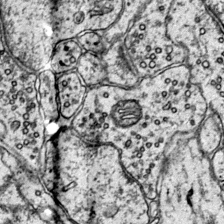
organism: Mouse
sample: Primary visual cortex